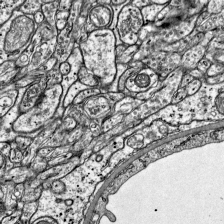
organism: Mouse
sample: Visual Cortex